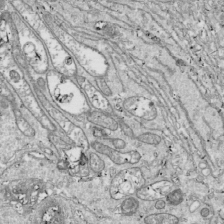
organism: Drosophila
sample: Cell division; meiosis; drosophila spermatocytes